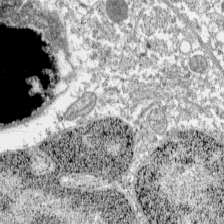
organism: C57BL Mouse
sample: Pancreatic islet